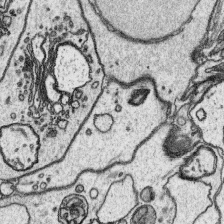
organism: Platynereis dumerilii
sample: Parapodia